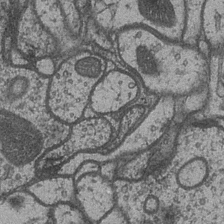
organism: Drosophila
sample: Optic medulla